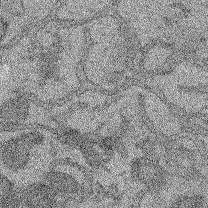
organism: Human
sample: HeLa cells